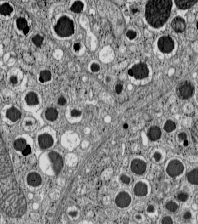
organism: C57BL Mouse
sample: Pancreatic islet